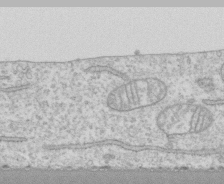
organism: Human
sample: CRL-1474